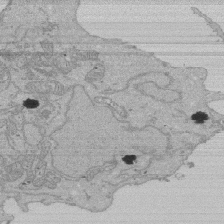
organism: Human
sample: Activated Jurkat CD4+ T cells